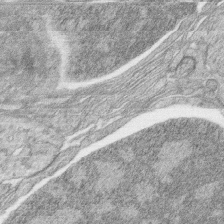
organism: Zebrafish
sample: synaptic ribbons in rod cells and cone cells